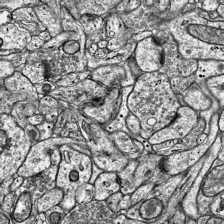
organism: Mouse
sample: Visual Cortex